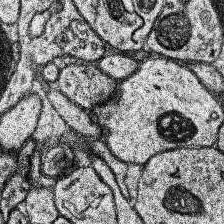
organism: Human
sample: Temporal Lobe